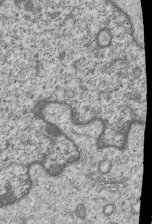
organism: Human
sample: MDA-MB-231 cells